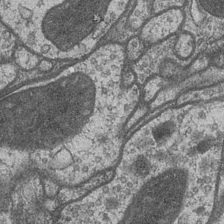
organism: Drosophila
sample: Optic medulla